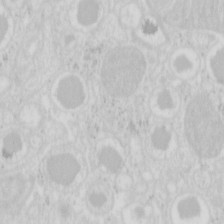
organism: Mouse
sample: Pancreas